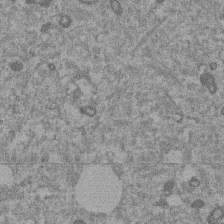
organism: Mouse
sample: Dividing mouse embryo 1 cell stage